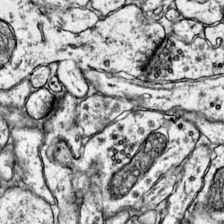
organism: Mouse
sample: Primary visual cortex